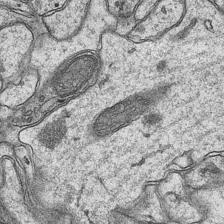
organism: Mouse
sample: CA1 Hippocampus